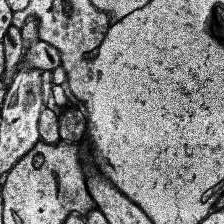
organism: Human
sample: Temporal Lobe